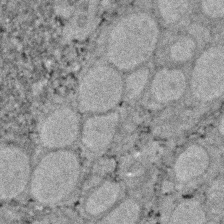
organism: Zebrafish